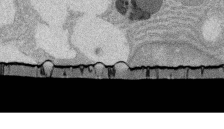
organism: Rat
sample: Salivary granule